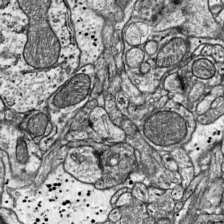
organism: Mouse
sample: Visual Cortex